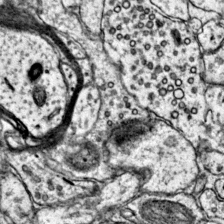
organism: Mouse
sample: Primary visual cortex